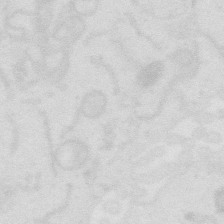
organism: Human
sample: HeLa cells